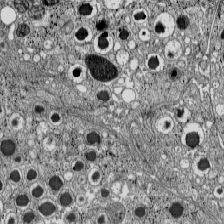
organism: C57BL Mouse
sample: Pancreatic islet